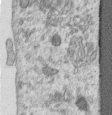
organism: Human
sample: Centriole in RPE cells